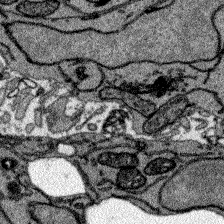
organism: Zebrafish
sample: Larval olfactory bulb